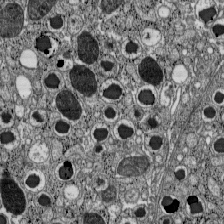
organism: C57BL Mouse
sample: Pancreatic islet